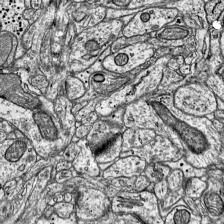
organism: Mouse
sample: Visual Cortex